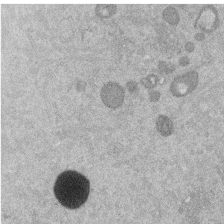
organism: Mouse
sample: Dividing mouse embryo 1 cell stage